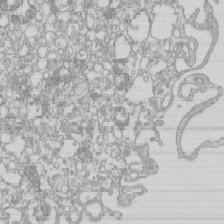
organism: Mouse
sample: Macrophages